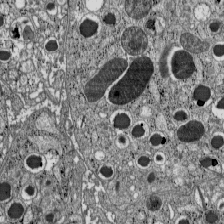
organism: C57BL Mouse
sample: Pancreatic islet